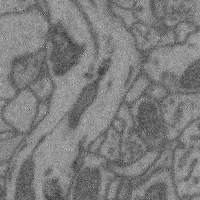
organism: Mouse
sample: Cerebral cortex